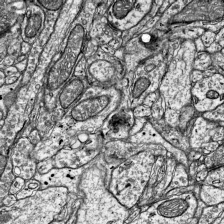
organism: Mouse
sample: Visual Cortex